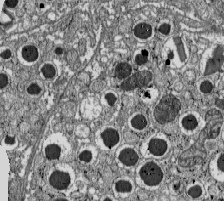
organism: C57BL Mouse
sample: Pancreatic islet